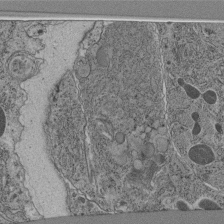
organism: C. elegans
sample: C. elegans pharynx